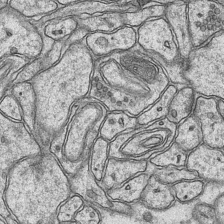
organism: Mouse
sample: CA1 Hippocampus